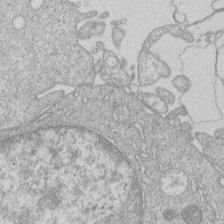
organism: Human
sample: Macrophage cells